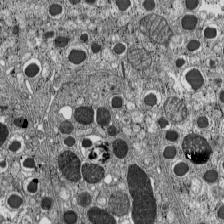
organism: C57BL Mouse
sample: Pancreatic islet